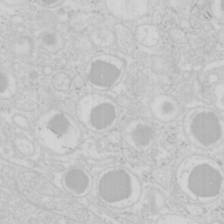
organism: Mouse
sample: Pancreas